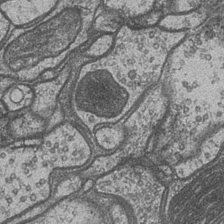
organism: Drosophila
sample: Optic medulla